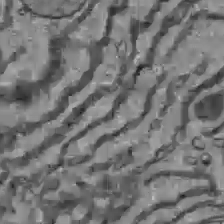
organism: C57BL Mouse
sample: Liver